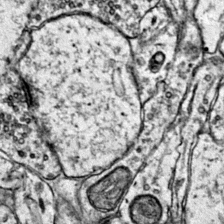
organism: Mouse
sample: Primary visual cortex